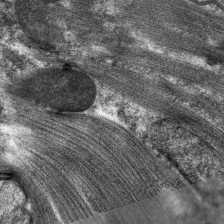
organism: C. elegans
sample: Pharynx